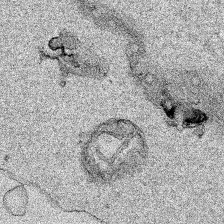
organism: Human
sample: Mitochondria in HCT116 cells